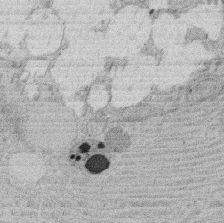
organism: Rat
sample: Salivary granule